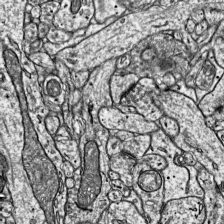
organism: Mouse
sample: Visual Cortex